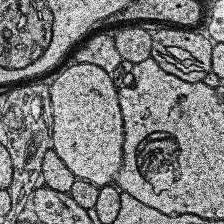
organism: Human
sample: Temporal Lobe